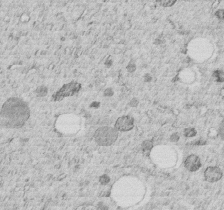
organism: C. elegans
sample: C. elegans embryo early stage